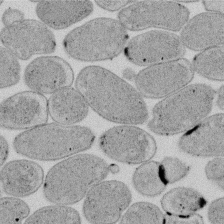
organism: E. coli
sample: Bacterial nucleoid